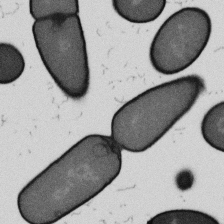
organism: B. subtilis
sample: Bacterial spore